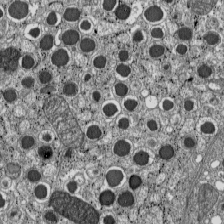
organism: C57BL Mouse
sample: Pancreatic islet